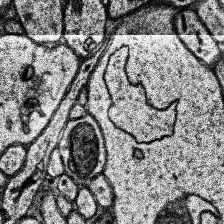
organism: Human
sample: Temporal Lobe